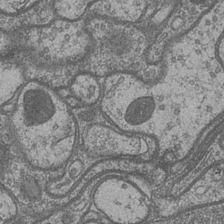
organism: Drosophila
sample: Optic medulla